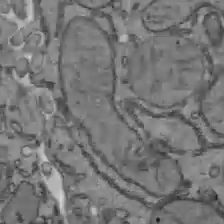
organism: C57BL Mouse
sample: Liver